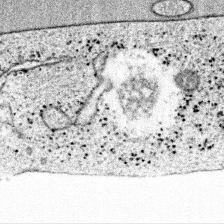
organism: Human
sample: HeLa cells